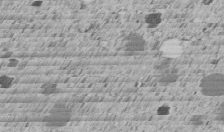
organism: C. elegans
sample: C. elegans embryo early stage